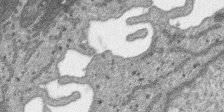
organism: Human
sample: Lung epithelial cells infected with SARS-CoV-2